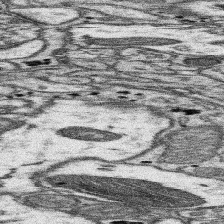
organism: Mouse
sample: Somatosensory cortex neuropil